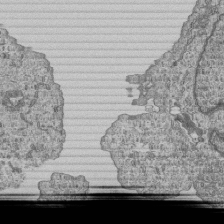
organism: Human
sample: MDA-MB-231 cells